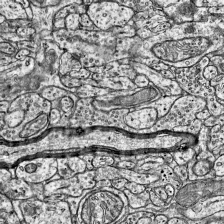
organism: Mouse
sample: Visual Cortex